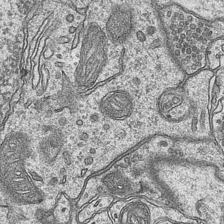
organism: Mouse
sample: CA1 Hippocampus